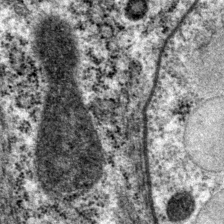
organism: P. pacificus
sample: Pharynx